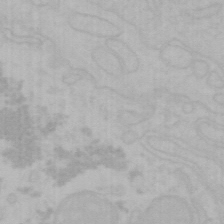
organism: Mouse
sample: Choroid plexus